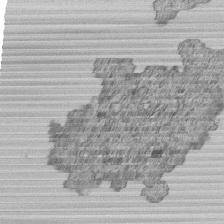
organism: Human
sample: MDA-MB-231 cells